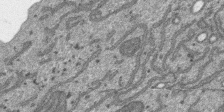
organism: Human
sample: Lung epithelial cells infected with SARS-CoV-2